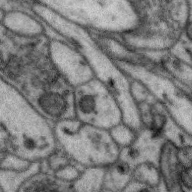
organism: Zebra finch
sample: Brain